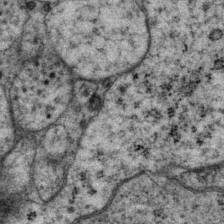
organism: P. pacificus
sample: Pharynx